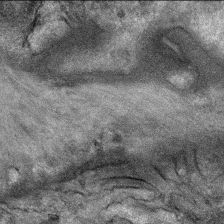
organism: Mouse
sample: Mouse Salivary gland